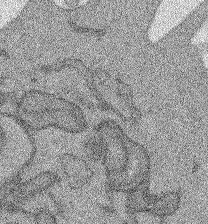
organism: Human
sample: HeLa cells